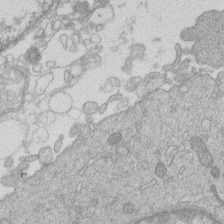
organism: Human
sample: Macrophage cells